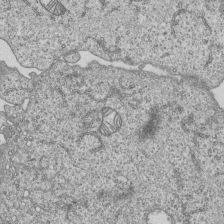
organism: Human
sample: MDA-MB-231 cells